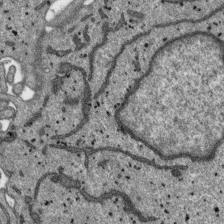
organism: Human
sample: Lung epithelial cells, uninfected (mock) control